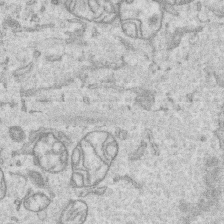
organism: Human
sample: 1205lu cells